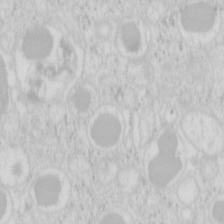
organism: Mouse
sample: Pancreas